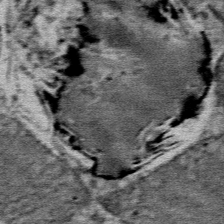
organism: Mouse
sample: Mouse Salivary gland